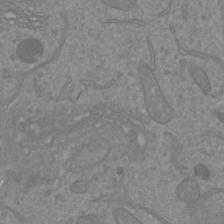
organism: Mouse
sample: Cortical neurons